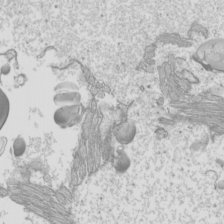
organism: Mouse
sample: Cilia; mouse epididymis